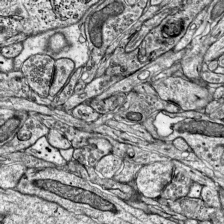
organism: Mouse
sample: Visual Cortex